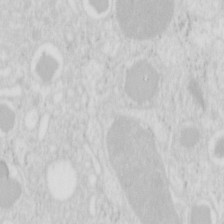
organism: Mouse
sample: Pancreas